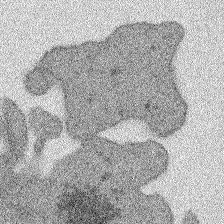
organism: Human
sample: HeLa cells